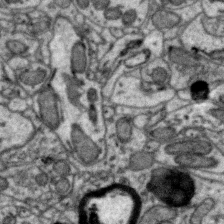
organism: Zebra finch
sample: Brain